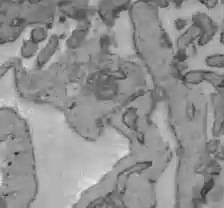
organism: C57BL Mouse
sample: Liver